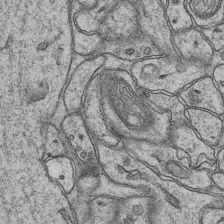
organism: Mouse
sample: CA1 Hippocampus